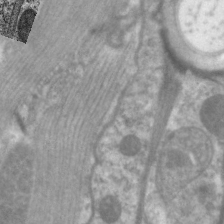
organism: C. elegans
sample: Pharynx